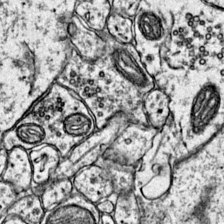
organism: Mouse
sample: Primary visual cortex